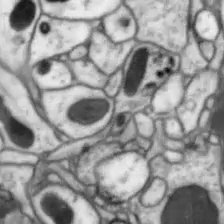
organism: Drosophila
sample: Optic lobe